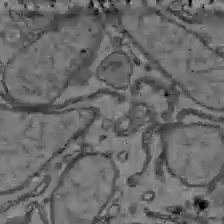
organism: C57BL Mouse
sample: Liver